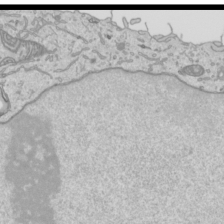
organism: Human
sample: Mitochondria in HCT116 cells